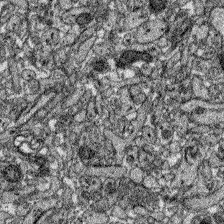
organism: Zebrafish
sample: Larval olfactory bulb